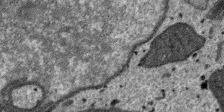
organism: Human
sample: Lung epithelial cells, uninfected (mock) control